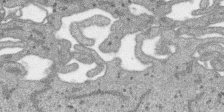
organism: Human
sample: Lung epithelial cells infected with SARS-CoV-2